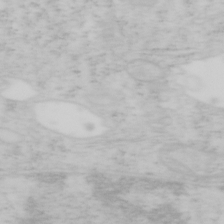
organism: Mouse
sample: OT-I killer T cells with ID8 ovarian cancer cells